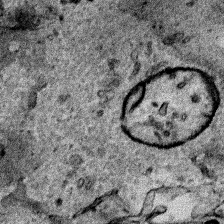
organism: Human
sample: Mitochondria in HCT116 cells